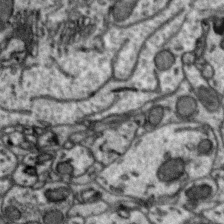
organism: Zebra finch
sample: Brain